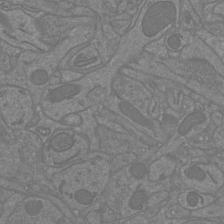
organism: Mouse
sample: Cortical neurons